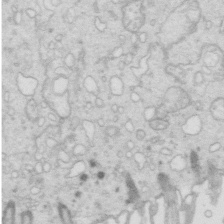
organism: Mouse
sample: Multiciliated cells